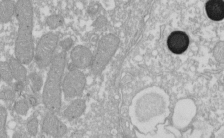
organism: Xenopus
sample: Cilia; centrioles in frog embryo cells